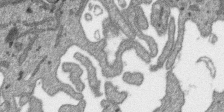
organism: Human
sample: Lung epithelial cells infected with SARS-CoV-2